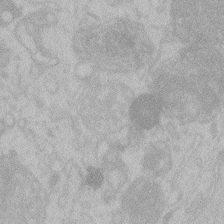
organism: Zebrafish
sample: Macrophage infected with Toxoplasma gondii